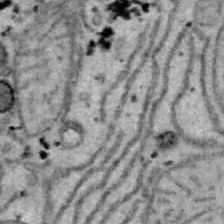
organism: Mouse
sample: Liver from an obese (ob/ob) mouse